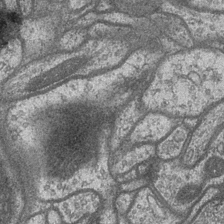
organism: Drosophila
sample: Optic medulla